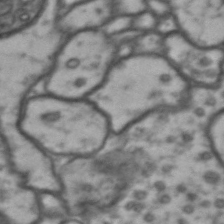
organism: Drosophila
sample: Brain